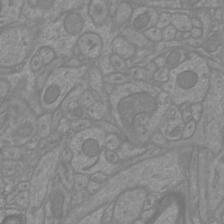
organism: Mouse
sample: Cortical neurons